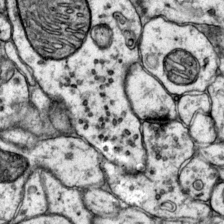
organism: Mouse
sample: Primary visual cortex